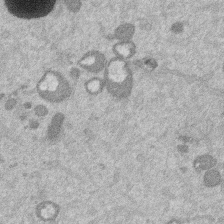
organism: Mouse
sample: Dividing mouse embryo 1 cell stage